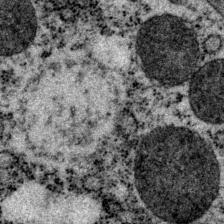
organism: P. pacificus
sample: Pharynx